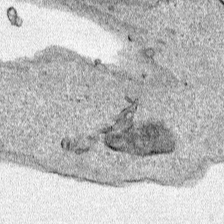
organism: Human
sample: Mitochondria in HCT116 cells